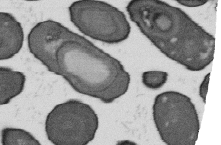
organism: B. subtilis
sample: Bacterial spore